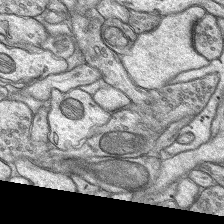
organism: Rat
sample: Hippocampus